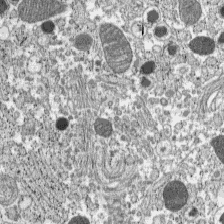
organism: C57BL Mouse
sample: Pancreatic islet